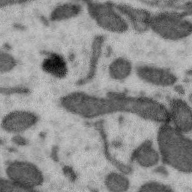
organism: Zebra finch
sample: Brain